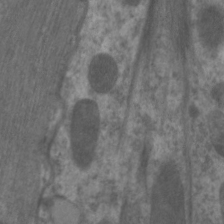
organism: C. elegans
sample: Pharynx